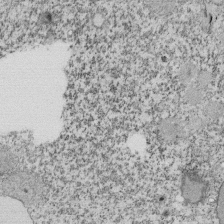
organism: Tetrahymena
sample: Cilia in tetrahymena